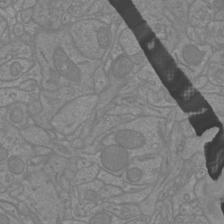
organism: Mouse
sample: Cortical neurons